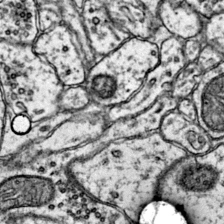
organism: Mouse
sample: Primary visual cortex